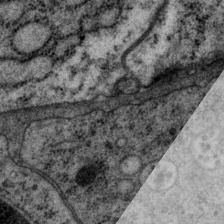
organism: P. pacificus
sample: Pharynx